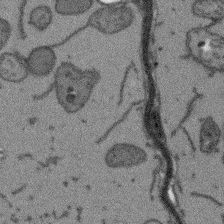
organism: Arabidopsis thaliana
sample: Root tip